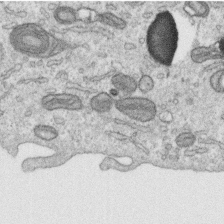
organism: Human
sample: Centriole in RPE cells